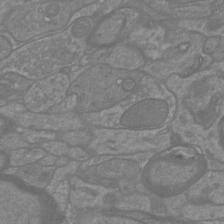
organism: Mouse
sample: Cortical neurons